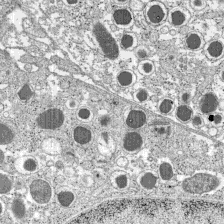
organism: C57BL Mouse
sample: Pancreatic islet